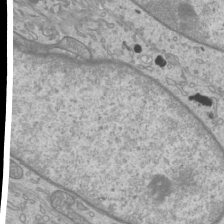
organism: Mouse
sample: Cilia; mouse epididymis